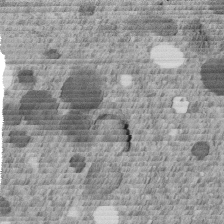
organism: C. elegans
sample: C. elegans embryo early stage